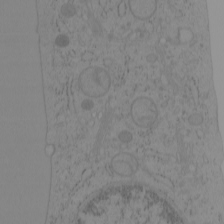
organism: Human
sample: HeLa cells